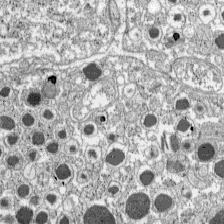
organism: C57BL Mouse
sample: Pancreatic islet